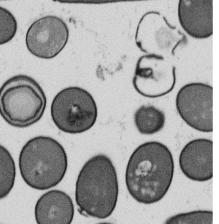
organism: B. subtilis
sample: Bacterial spore